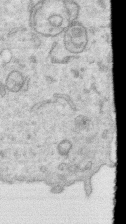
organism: Human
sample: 1205lu cells